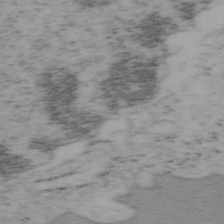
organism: Mouse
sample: OT-I killer T cells with ID8 ovarian cancer cells